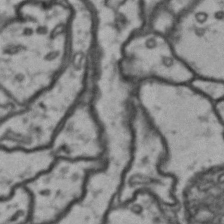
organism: Drosophila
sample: Brain